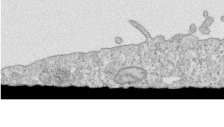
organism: Human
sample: HeLa cell HIV synapse